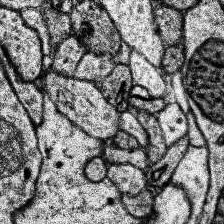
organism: Human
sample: Temporal Lobe